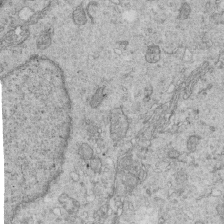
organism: Mouse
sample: Multiciliated cells